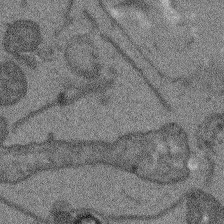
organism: Arabidopsis thaliana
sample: Root tip